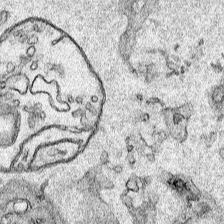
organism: Human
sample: Mitochondria in HCT116 cells